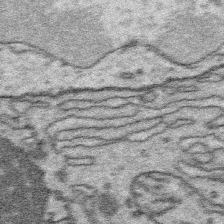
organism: Platynereis dumerilii